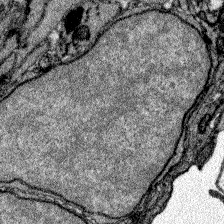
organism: Zebrafish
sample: Larval olfactory bulb